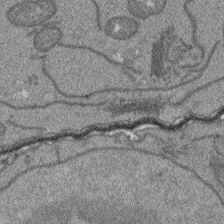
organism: Arabidopsis thaliana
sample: Root tip